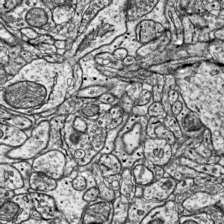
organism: Mouse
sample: Visual Cortex